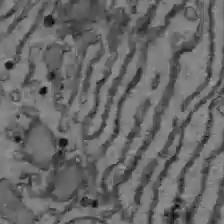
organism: C57BL Mouse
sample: Liver